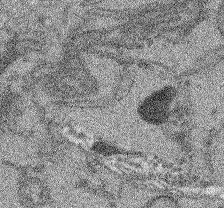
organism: Human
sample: HeLa cells